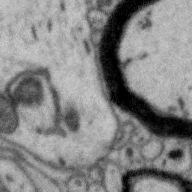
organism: Zebra finch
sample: Brain